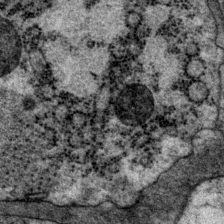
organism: P. pacificus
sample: Pharynx